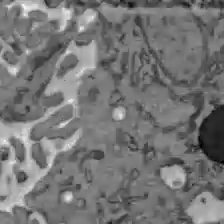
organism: C57BL Mouse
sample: Liver